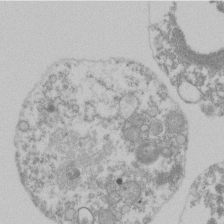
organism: Mouse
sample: Activated Pmel transgenic CD8+ T Cells